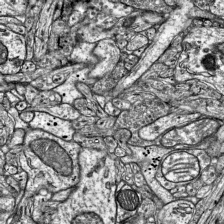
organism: Mouse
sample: Visual Cortex